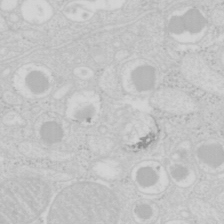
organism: Mouse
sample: Pancreas